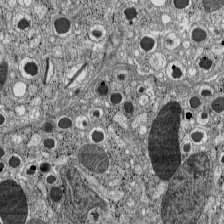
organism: C57BL Mouse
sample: Pancreatic islet